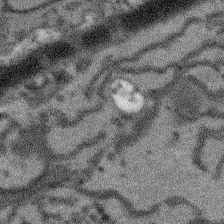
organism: Arabidopsis thaliana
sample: Root tip